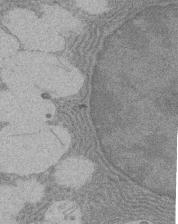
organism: Rat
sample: Salivary granule